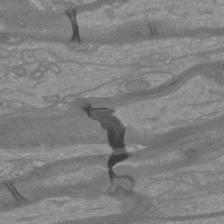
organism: Mouse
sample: Cortical neurons